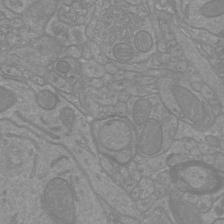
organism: Mouse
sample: Cortical neurons